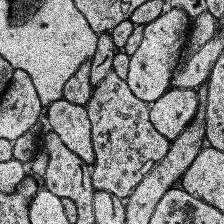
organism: Human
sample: Temporal Lobe